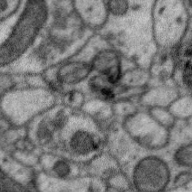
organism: Zebra finch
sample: Brain